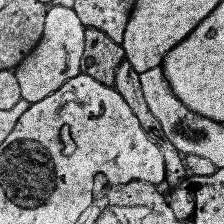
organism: Human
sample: Temporal Lobe